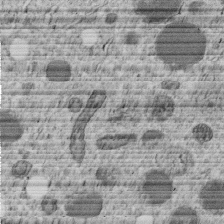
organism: C. elegans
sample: C. elegans embryo early stage